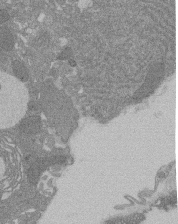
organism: Rat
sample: Salivary granule